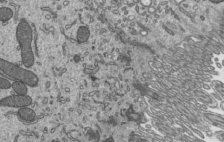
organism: Mouse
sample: Mouse epididymis efferent ductule cilia